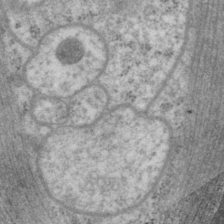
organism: P. pacificus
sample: Pharynx